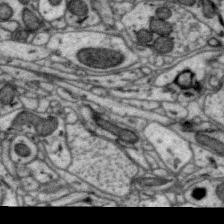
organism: Zebra finch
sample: Brain